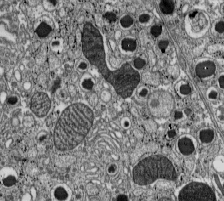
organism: C57BL Mouse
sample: Pancreatic islet